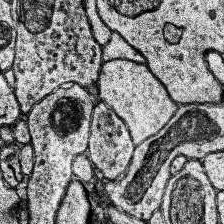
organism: Human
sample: Temporal Lobe